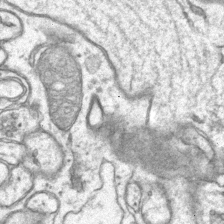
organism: Mouse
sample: CA1 Hippocampus